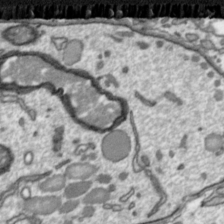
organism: Toxoplasma gondii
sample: Parasites in a vacuole inside a host cell